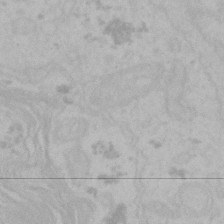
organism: Mouse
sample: Choroid plexus